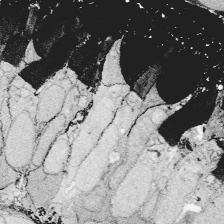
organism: Zebrafish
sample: Whole-Brain